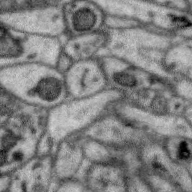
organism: Zebra finch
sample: Brain